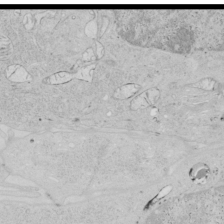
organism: Human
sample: Mitochondria in HCT116 cells